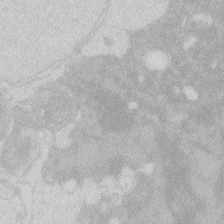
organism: Zebrafish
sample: Macrophage